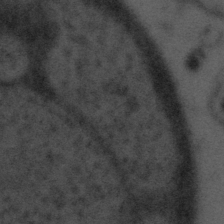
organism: Tuwongella immobilis